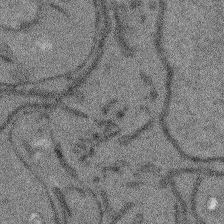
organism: Arabidopsis thaliana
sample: Root tip